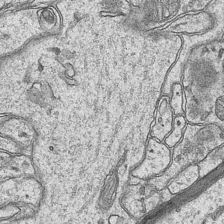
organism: Mouse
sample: CA1 Hippocampus